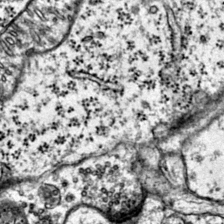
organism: Mouse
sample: Primary visual cortex